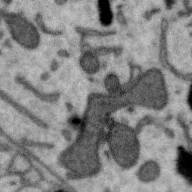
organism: Zebra finch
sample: Brain